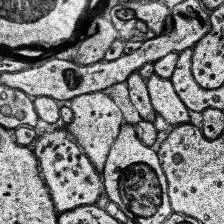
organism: Human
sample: Temporal Lobe